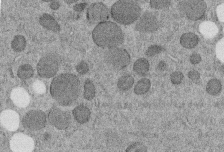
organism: C. elegans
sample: C. elegans embryo early stage